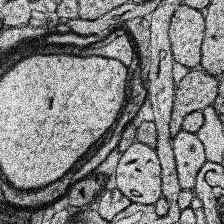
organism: Human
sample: Temporal Lobe